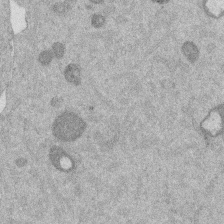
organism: Mouse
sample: Dividing mouse embryo 1 cell stage